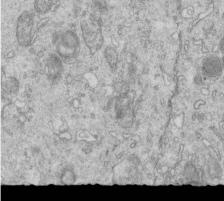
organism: Mouse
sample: Multiciliated cells